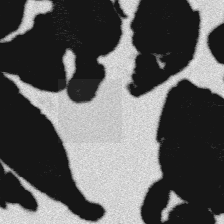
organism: Platynereis dumerilii